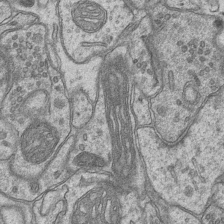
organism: Mouse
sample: CA1 Hippocampus